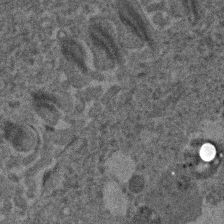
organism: Human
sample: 1205lu cells